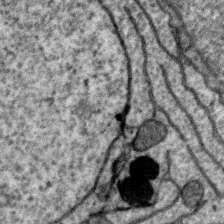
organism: Zebra finch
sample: Brain